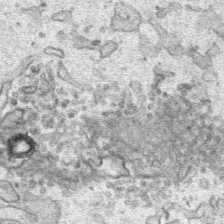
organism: Human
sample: Mitochondria in HCT116 cells